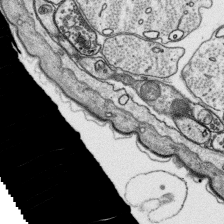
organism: Platynereis dumerilii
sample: Parapodia